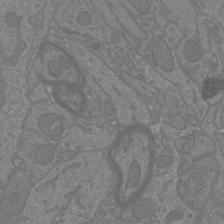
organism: Mouse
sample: Cortical neurons